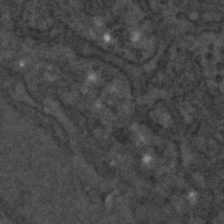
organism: C. elegans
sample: C. elegans embryo